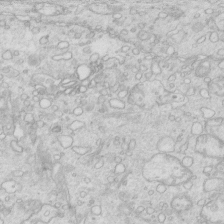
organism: Mouse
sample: Multiciliated cells